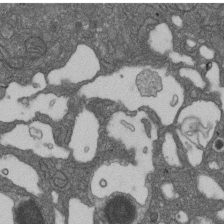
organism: Drosophila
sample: Nephrocyte